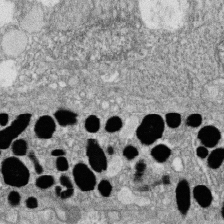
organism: Zebrafish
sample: Cilia; retinal pigment epithelium